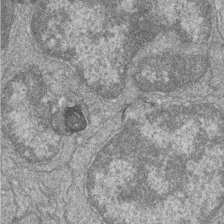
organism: Zebrafish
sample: Cilia; retinal pigment epithelium